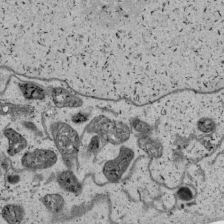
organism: Human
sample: Mitochondria in HCT116 cells